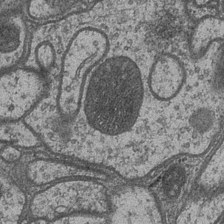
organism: Drosophila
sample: Optic medulla